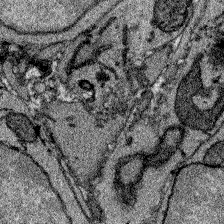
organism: Zebrafish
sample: Larval olfactory bulb